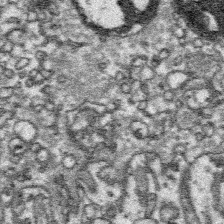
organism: Platynereis dumerilii